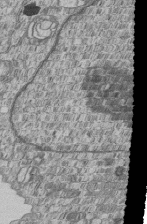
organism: Human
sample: MDA-MB-231 cells